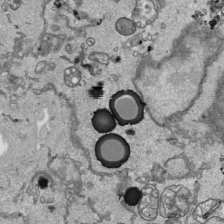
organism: Human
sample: Mitochondria in HCT116 cells